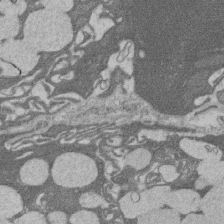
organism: Rat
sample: Salivary granule